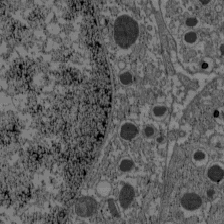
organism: C57BL Mouse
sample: Pancreatic islet